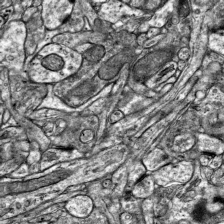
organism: Mouse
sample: Visual Cortex